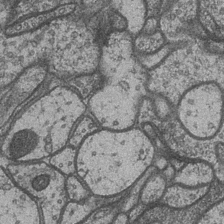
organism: Drosophila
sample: Optic medulla